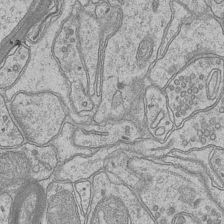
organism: Mouse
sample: CA1 Hippocampus